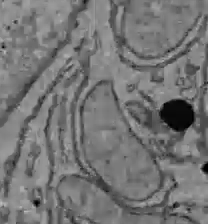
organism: C57BL Mouse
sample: Liver